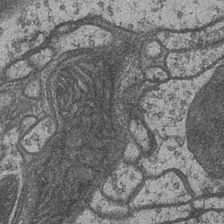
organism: Drosophila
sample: Optic medulla